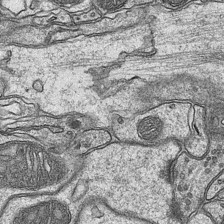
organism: Mouse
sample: CA1 Hippocampus